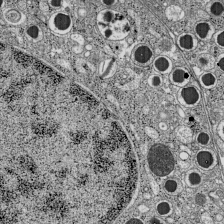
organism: C57BL Mouse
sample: Pancreatic islet